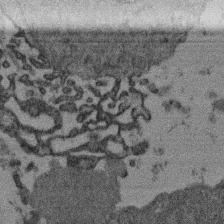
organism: Mouse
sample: Dividing mouse embryo 1 cell stage